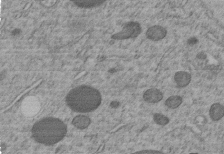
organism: C. elegans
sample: C. elegans embryo early stage